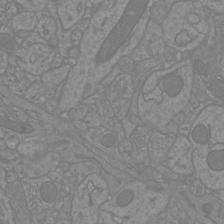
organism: Mouse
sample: Cortical neurons